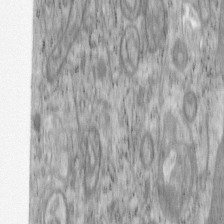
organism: Human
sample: HeLa cells